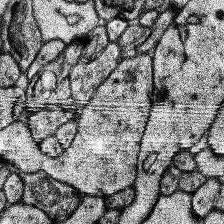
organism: Human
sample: Temporal Lobe